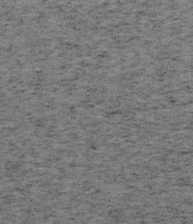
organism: Mouse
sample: OT-I killer T cells with ID8 ovarian cancer cells